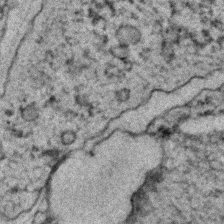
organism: C. elegans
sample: C. elegans embryo